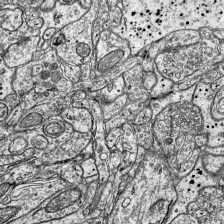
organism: Mouse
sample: Visual Cortex